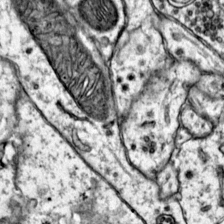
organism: Mouse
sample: Primary visual cortex